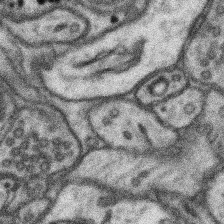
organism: Mouse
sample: Somatosensory cortex neuropil